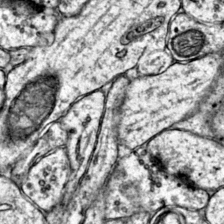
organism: Mouse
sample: Primary visual cortex